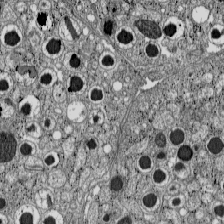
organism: C57BL Mouse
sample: Pancreatic islet